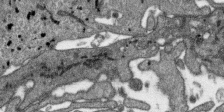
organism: Human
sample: Lung epithelial cells, uninfected (mock) control